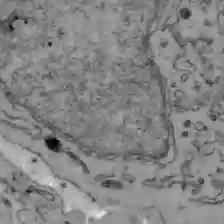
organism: C57BL Mouse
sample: Liver